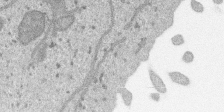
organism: Human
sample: Lung epithelial cells infected with SARS-CoV-2